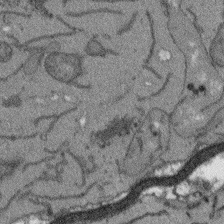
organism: Arabidopsis thaliana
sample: Root tip